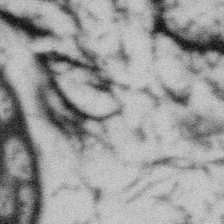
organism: Gemmata obscuriglobus